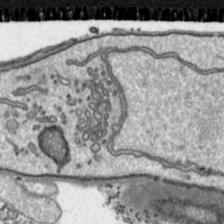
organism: Toxoplasma gondii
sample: Parasites in a vacuole inside a host cell